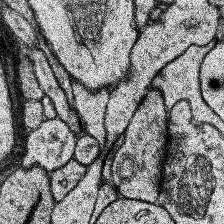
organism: Human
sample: Temporal Lobe